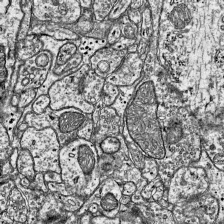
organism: Mouse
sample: Visual Cortex